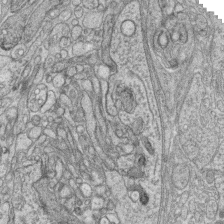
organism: Zebrafish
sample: synaptic ribbons in rod cells and cone cells